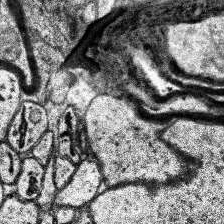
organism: Human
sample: Temporal Lobe